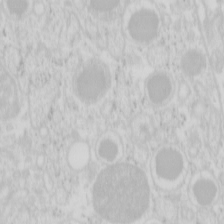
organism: Mouse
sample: Pancreas